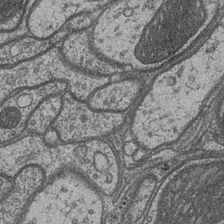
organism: Drosophila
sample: Optic medulla